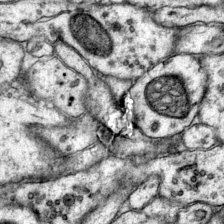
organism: Mouse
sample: Primary visual cortex